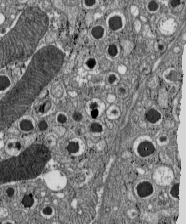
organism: C57BL Mouse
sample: Pancreatic islet